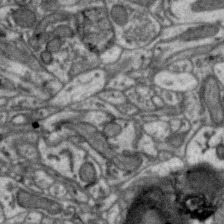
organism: Zebra finch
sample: Brain